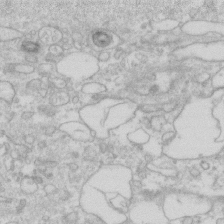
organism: Human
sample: Fibroblast cells